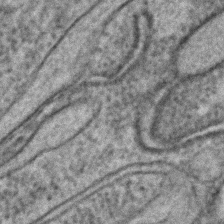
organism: C. elegans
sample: C. elegans embryo